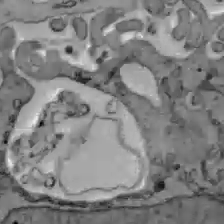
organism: C57BL Mouse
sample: Liver